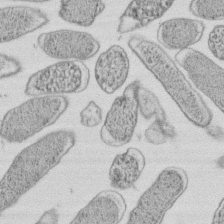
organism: E. coli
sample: Bacterial nucleoid